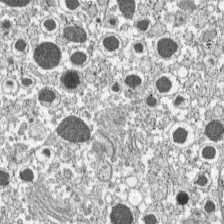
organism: C57BL Mouse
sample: Pancreatic islet